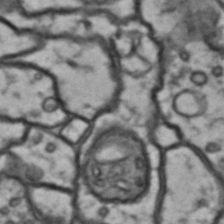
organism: Drosophila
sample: Brain